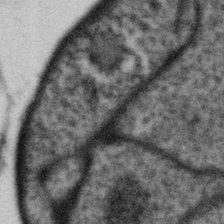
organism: Gemmata obscuriglobus